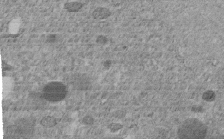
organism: C. elegans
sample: C. elegans embryo early stage